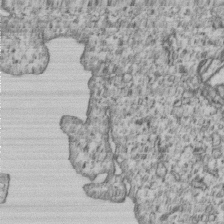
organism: Human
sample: MDA-MB-231 cells